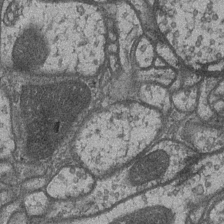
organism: Drosophila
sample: Optic medulla